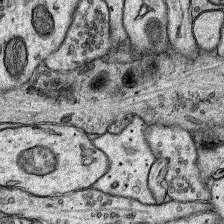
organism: Rat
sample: Hippocampus